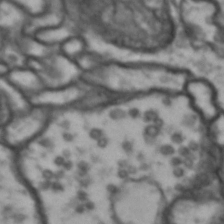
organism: Drosophila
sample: Brain